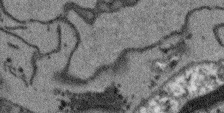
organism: Arabidopsis thaliana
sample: Root tip